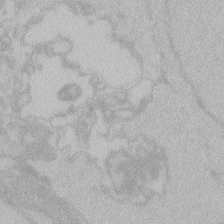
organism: Zebrafish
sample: Macrophage infected with Toxoplasma gondii